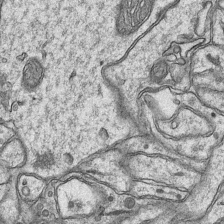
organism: Mouse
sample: CA1 Hippocampus